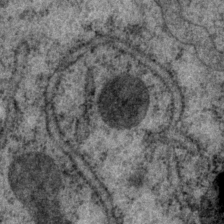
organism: P. pacificus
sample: Pharynx